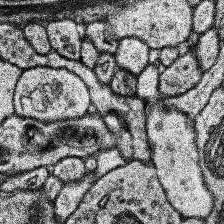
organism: Human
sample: Temporal Lobe